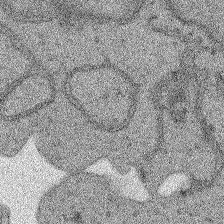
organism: Human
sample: HeLa cells